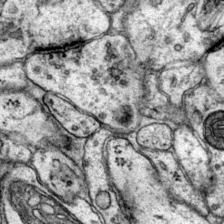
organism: Mouse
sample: Primary visual cortex